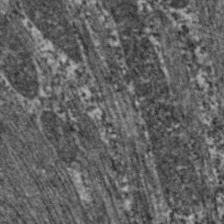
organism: C. elegans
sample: Pharynx